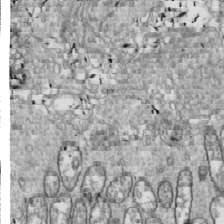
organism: Drosophila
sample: Cell division; meiosis; drosophila spermatocytes